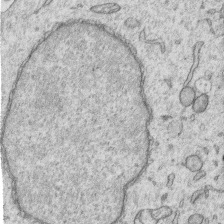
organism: Human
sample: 1205lu cells